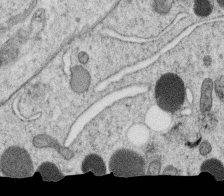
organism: C. elegans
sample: C. elegans oocyte; sperm cells